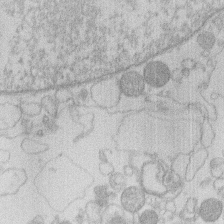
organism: Human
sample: Macrophage cells